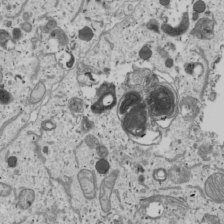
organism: Human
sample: Mitochondria in U2OS cells